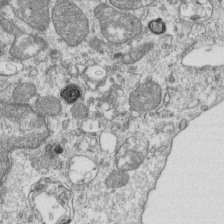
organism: Mouse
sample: Activated OT-1 CD8+ T cells